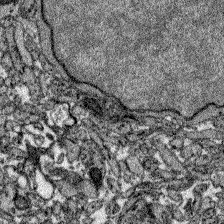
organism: Zebrafish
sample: Larval olfactory bulb